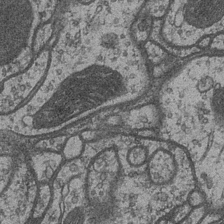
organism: Drosophila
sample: Optic medulla